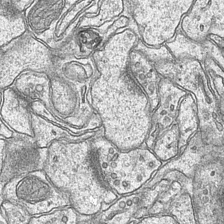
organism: Mouse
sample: CA1 Hippocampus